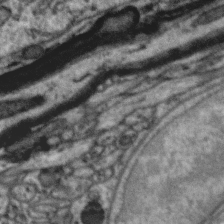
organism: Zebra finch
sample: Brain